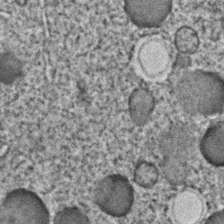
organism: C. elegans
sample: C. elegans embryo